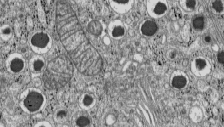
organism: C57BL Mouse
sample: Pancreatic islet